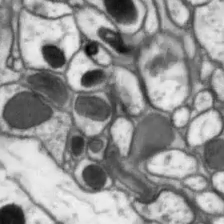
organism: Drosophila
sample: Optic lobe